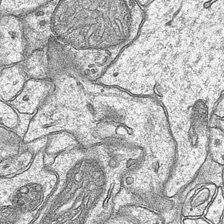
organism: Mouse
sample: CA1 Hippocampus